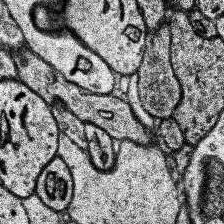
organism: Human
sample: Temporal Lobe